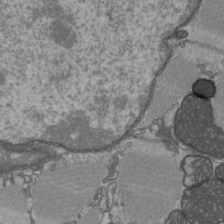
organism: C57BL Mouse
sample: Heart